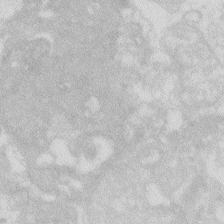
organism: Zebrafish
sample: Macrophage